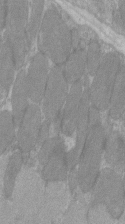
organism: C57BL Mouse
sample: Tibialis anterior muscle cell